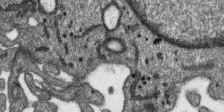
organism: Human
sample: Lung epithelial cells infected with SARS-CoV-2